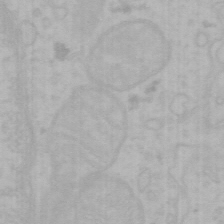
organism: Mouse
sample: Choroid plexus